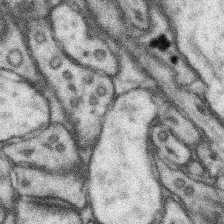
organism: Mouse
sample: Somatosensory cortex neuropil